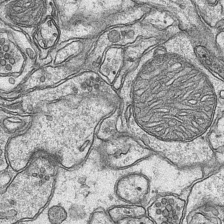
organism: Mouse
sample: CA1 Hippocampus